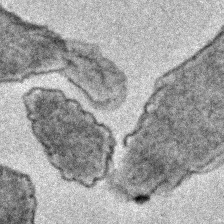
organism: E. coli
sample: E. Coli Bacteria